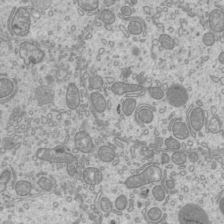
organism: Mouse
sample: Cilia; mouse epididymis